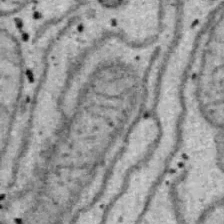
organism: Mouse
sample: Liver from an obese (ob/ob) mouse